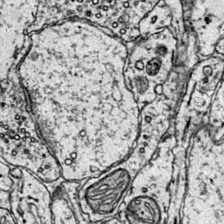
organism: Mouse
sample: Primary visual cortex